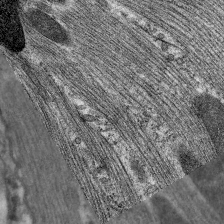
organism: C. elegans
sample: Pharynx